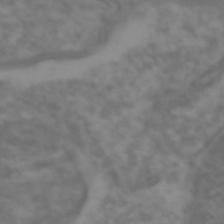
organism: Zebrafish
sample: Zebrafish embryo